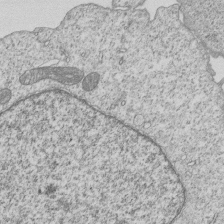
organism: Human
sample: MDA-MB-231 cells